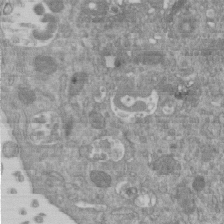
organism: Mouse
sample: ED-1 cell nuclei; centrioles